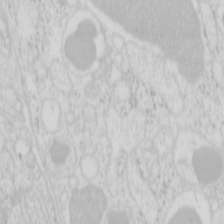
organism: Mouse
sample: Pancreas